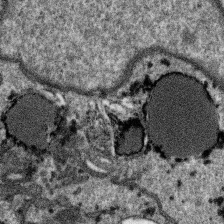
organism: Human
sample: Lung epithelial cells infected with SARS-CoV-2